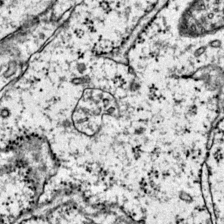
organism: Mouse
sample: Primary visual cortex